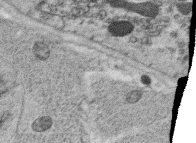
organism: C. elegans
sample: C. elegans oocyte; sperm cells